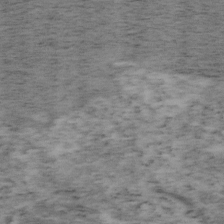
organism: Mouse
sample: OT-I killer T cells with ID8 ovarian cancer cells